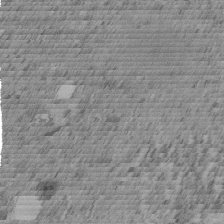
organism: C. elegans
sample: C. elegans embryo early stage